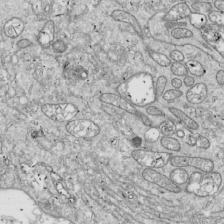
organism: Drosophila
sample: Cell division; meiosis; drosophila spermatocytes